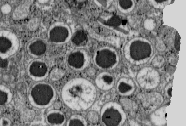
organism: C57BL Mouse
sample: Pancreatic islet